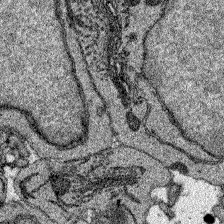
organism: Zebrafish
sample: Larval olfactory bulb